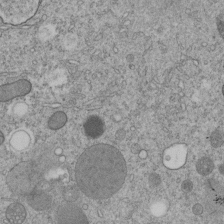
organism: C. elegans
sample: C. elegans embryo early stage